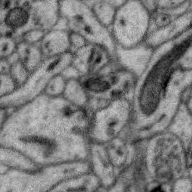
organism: Zebra finch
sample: Brain